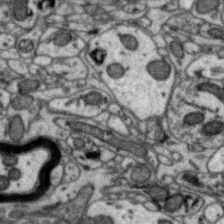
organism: Zebra finch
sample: Brain